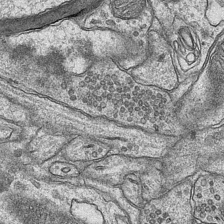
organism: Mouse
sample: CA1 Hippocampus